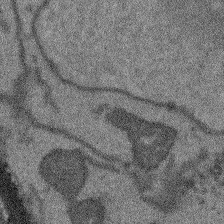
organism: Arabidopsis thaliana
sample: Root tip